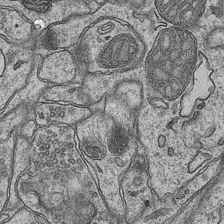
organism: Mouse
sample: CA1 Hippocampus